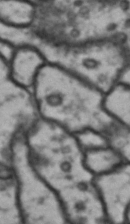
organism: Drosophila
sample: Brain